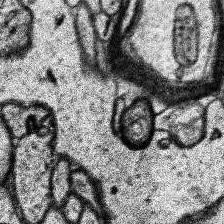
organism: Human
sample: Temporal Lobe